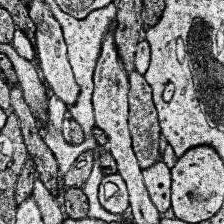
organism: Human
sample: Temporal Lobe